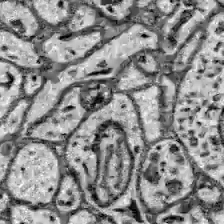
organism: Zebrafish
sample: Brain